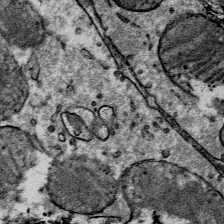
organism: Mouse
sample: Mouse Salivary gland